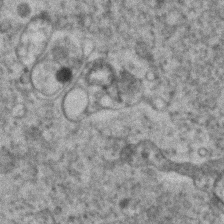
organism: Human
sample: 1205lu cells